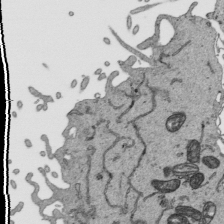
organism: Human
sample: Mitochondria in HCT116 cells